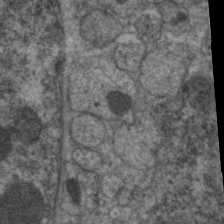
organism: C. elegans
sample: Pharynx